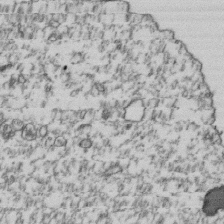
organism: Human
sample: Activated Jurkat CD4+ T cells